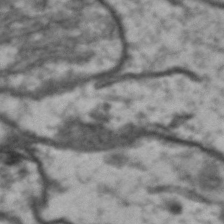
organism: Drosophila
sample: Brain